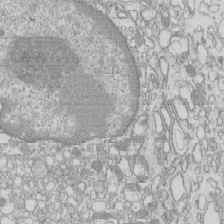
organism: Mouse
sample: Macrophages